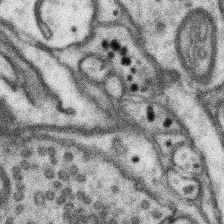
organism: Mouse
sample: Somatosensory cortex neuropil